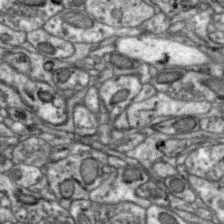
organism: Zebra finch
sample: Brain